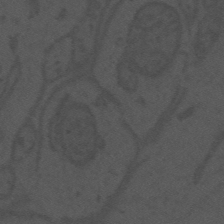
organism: Mouse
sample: Suprachiasmatic nucleus